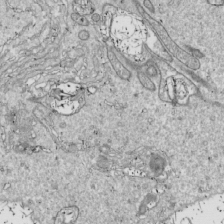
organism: Drosophila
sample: Cell division; meiosis; drosophila spermatocytes